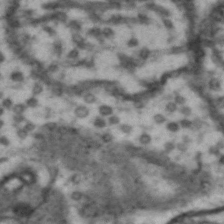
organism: Drosophila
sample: Brain